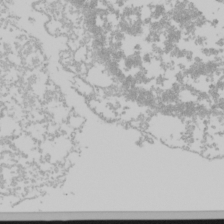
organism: Mouse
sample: Cancer cell death in ED-1 cells